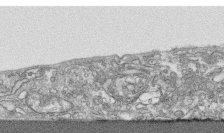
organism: Human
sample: CRL-1474